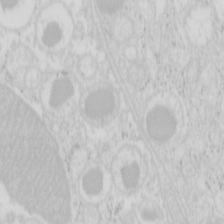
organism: Mouse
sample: Pancreas